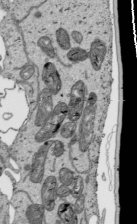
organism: Human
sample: Mitochondria in HCT116 cells